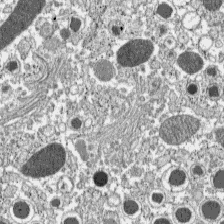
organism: C57BL Mouse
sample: Pancreatic islet